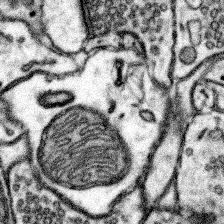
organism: Mouse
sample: Somatosensory cortex neuropil